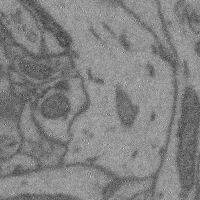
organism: Mouse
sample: Cerebral cortex